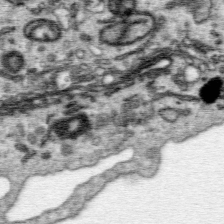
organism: Human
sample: HeLa cells